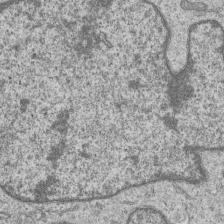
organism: Human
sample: MDA-MB-231 cells